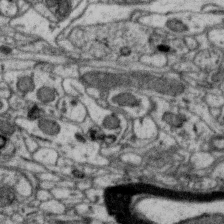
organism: Zebra finch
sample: Brain